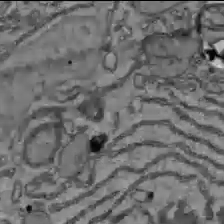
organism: C57BL Mouse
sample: Liver